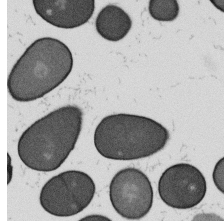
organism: B. subtilis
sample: Bacterial spore